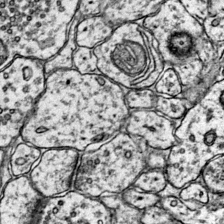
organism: Mouse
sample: Primary visual cortex